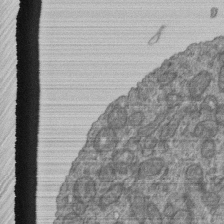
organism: Human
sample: Retinal organoid Rod and Cone cells